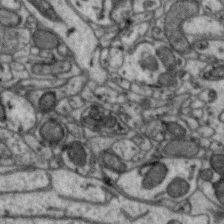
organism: Zebra finch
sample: Brain